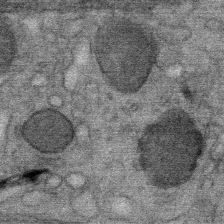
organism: Mouse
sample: Mouse Salivary gland